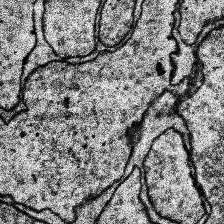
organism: Human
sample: Temporal Lobe